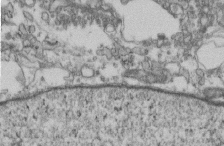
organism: Mouse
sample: Cilia; retinal pigment epithelium